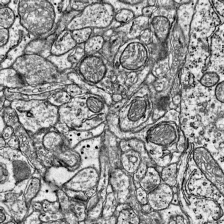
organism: Mouse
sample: Visual Cortex